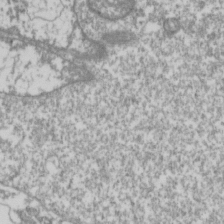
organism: Drosophila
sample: Cell division; meiosis; drosophila spermatocytes